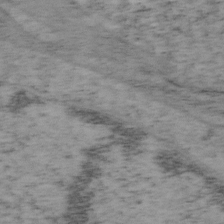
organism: Mouse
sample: OT-I killer T cells with ID8 ovarian cancer cells